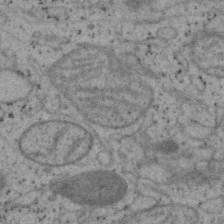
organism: Human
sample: HeLa cells